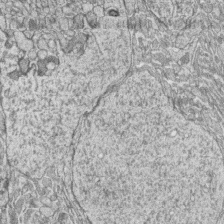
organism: Zebrafish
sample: synaptic ribbons in rod cells and cone cells